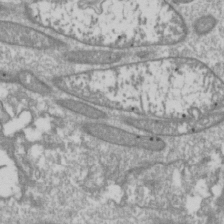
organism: Drosophila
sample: Cell division; meiosis; drosophila spermatocytes